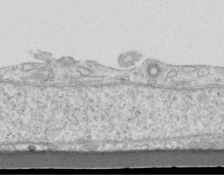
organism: Mouse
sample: Centriole in ependymal cells